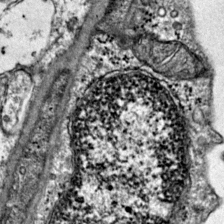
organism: Mouse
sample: Primary visual cortex